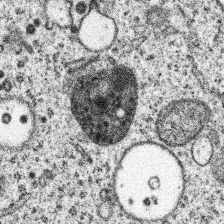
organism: Human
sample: HeLa cells